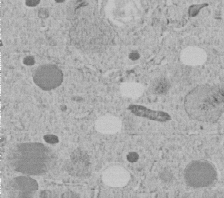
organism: C. elegans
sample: C. elegans embryo early stage